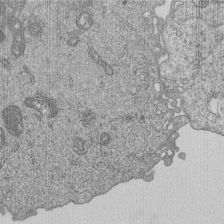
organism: Human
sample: MDA-MB-231 cells